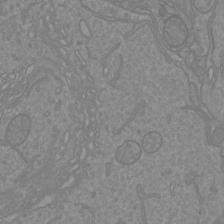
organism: Mouse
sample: Cortical neurons